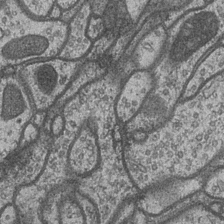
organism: Drosophila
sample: Optic medulla